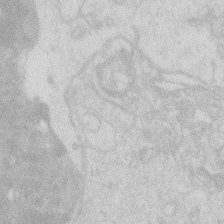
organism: Zebrafish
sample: Macrophage